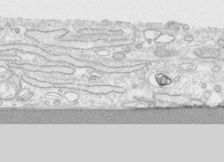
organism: Human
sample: CRL-1474